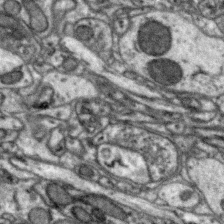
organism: Zebra finch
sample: Brain